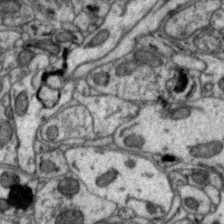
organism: Zebra finch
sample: Brain